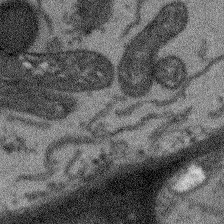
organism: Arabidopsis thaliana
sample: Root tip